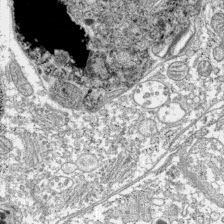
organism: C57BL Mouse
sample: Pancreatic islet